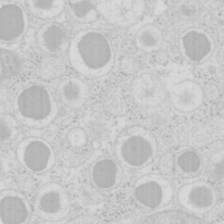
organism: Mouse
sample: Pancreas